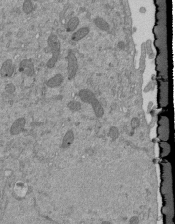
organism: Mouse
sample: ED-1 cell nuclei; centrioles